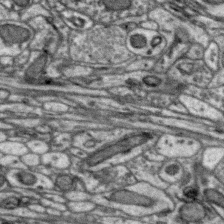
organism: Zebra finch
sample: Brain